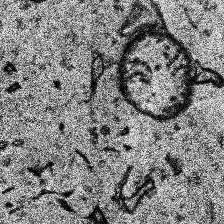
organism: Human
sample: Temporal Lobe